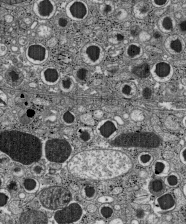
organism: C57BL Mouse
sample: Pancreatic islet